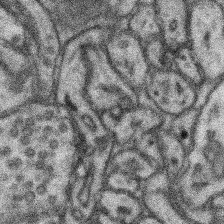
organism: Mouse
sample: Somatosensory cortex neuropil